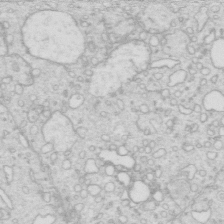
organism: Mouse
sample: Multiciliated cells